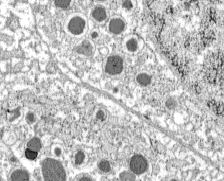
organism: C57BL Mouse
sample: Pancreatic islet